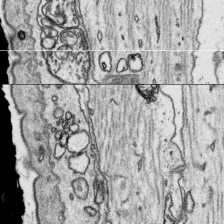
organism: Platynereis dumerilii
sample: Parapodia